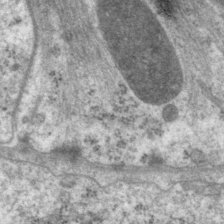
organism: P. pacificus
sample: Pharynx